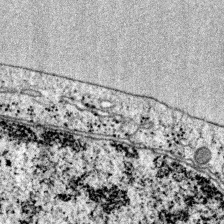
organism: Human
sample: HeLa cells